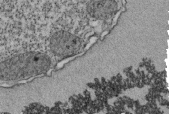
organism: Tetrahymena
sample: Cilia in tetrahymena